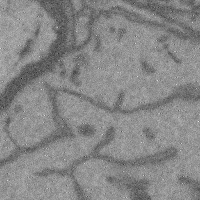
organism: Mouse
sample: Cerebral cortex